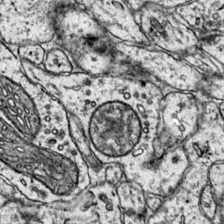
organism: Mouse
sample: Primary visual cortex